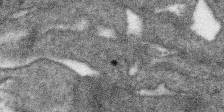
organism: Human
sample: Lung epithelial cells infected with SARS-CoV-2